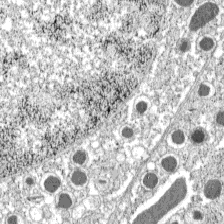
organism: C57BL Mouse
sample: Pancreatic islet